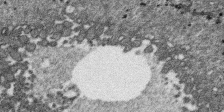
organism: Human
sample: Lung epithelial cells infected with SARS-CoV-2